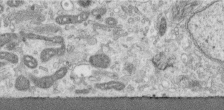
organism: Human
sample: Centriole in RPE cells